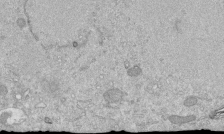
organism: Mouse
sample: ED-1 cell nuclei; centrioles